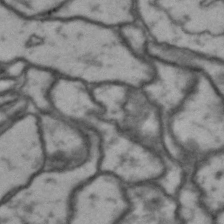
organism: Drosophila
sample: Brain